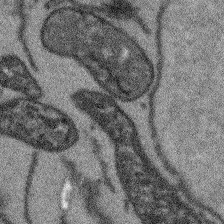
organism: Arabidopsis thaliana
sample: Root tip